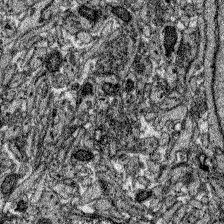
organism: Zebrafish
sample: Larval olfactory bulb